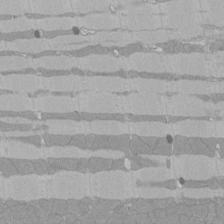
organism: Rat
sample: Left ventricle